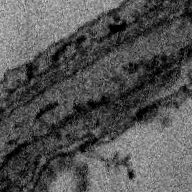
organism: Zebra finch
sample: Brain